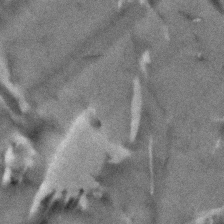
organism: Human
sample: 1205lu cells